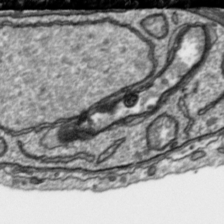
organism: Toxoplasma gondii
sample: Parasites in a vacuole inside a host cell